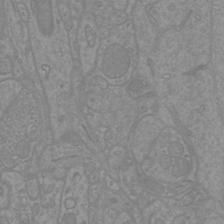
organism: Mouse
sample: Cortical neurons